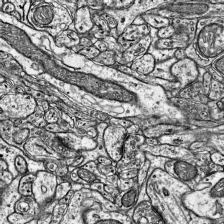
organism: Mouse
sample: Visual Cortex